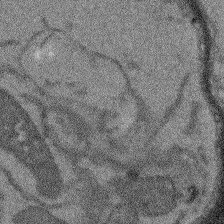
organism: Arabidopsis thaliana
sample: Root tip